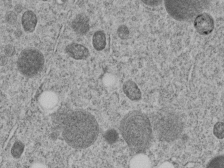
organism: C. elegans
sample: C. elegans embryo early stage